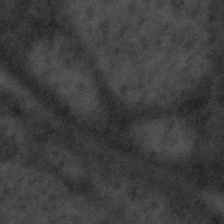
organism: Tuwongella immobilis